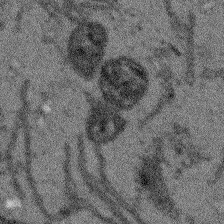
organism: Arabidopsis thaliana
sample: Root tip